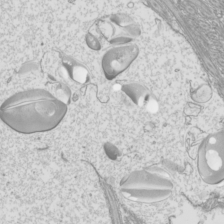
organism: Mouse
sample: Cilia; mouse epididymis